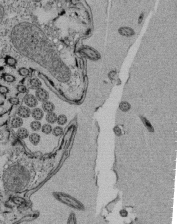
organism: Tetrahymena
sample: Cilia in tetrahymena